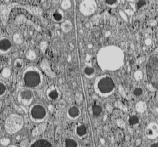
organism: C57BL Mouse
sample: Pancreatic islet